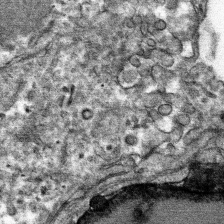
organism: Mouse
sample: Mouse hepatocytes